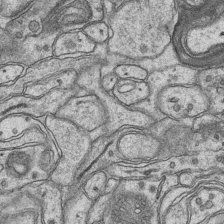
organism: Mouse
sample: CA1 Hippocampus